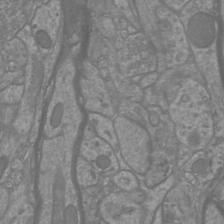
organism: Mouse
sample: Cortical neurons